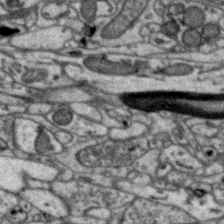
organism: Zebra finch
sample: Brain